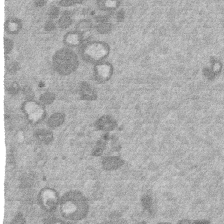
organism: Mouse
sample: Dividing mouse embryo 1 cell stage